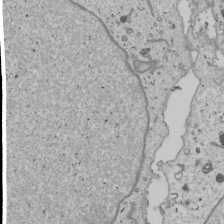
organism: Human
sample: Mitochondria in U2OS cells